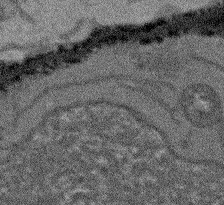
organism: Arabidopsis thaliana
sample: Root tip